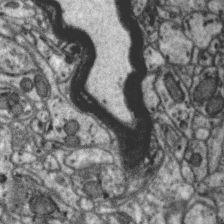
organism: Zebra finch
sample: Brain